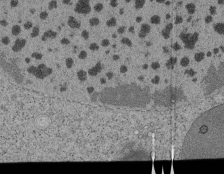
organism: Tetrahymena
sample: Cilia in tetrahymena